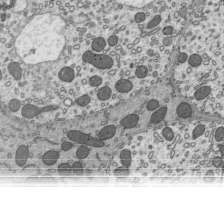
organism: Mouse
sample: Mouse epididymis efferent ductule cilia